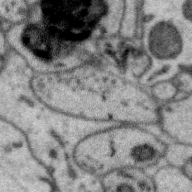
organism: Zebra finch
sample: Brain